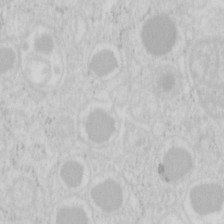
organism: Mouse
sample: Pancreas